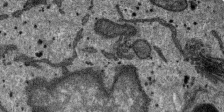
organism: Human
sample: Lung epithelial cells, uninfected (mock) control